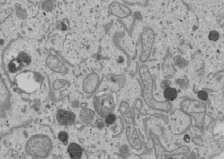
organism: Human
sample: Mitochondria in U2OS cells